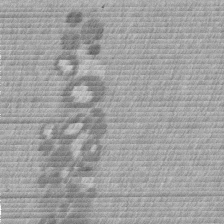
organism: Mouse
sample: Dividing mouse embryo 1 cell stage